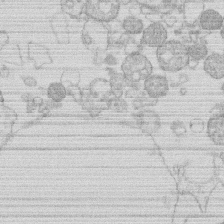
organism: Human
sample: Macrophage cells